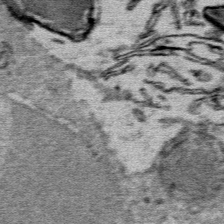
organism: Mouse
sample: Mouse Salivary gland